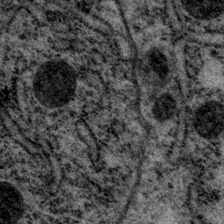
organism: P. pacificus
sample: Pharynx